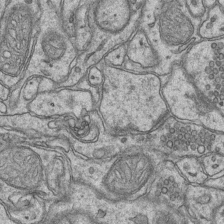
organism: Mouse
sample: CA1 Hippocampus